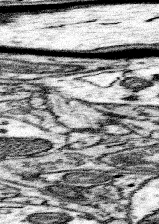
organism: Mouse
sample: Somatosensory cortex neuropil